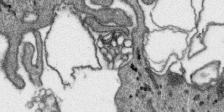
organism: Human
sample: Lung epithelial cells, uninfected (mock) control